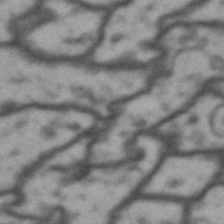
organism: Drosophila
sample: Brain